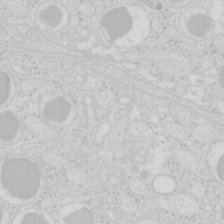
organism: Mouse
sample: Pancreas